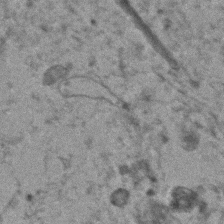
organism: Human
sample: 1205lu cells